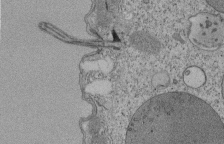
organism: Tetrahymena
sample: Cilia in tetrahymena